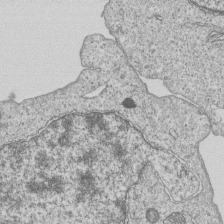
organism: Human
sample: MDA-MB-231 cells